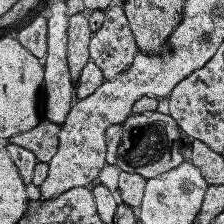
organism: Human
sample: Temporal Lobe